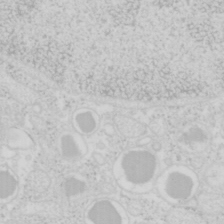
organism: Mouse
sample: Pancreas